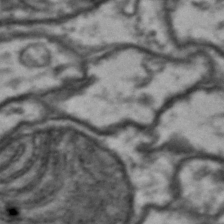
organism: Drosophila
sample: Brain